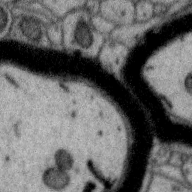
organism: Zebra finch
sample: Brain